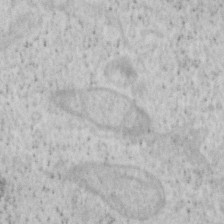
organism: Human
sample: HeLa cells